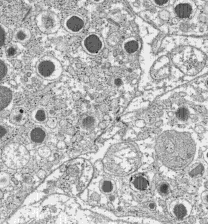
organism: C57BL Mouse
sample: Pancreatic islet